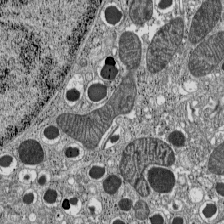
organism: C57BL Mouse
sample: Pancreatic islet